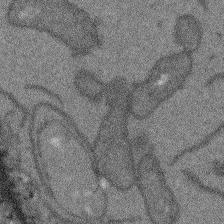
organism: Arabidopsis thaliana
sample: Root tip